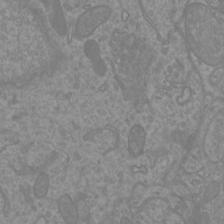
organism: Mouse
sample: Cortical neurons